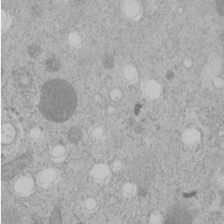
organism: C. elegans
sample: C. elegans embryo early stage